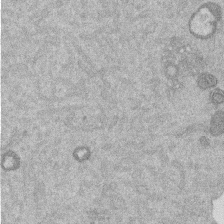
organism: Mouse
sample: Dividing mouse embryo 1 cell stage